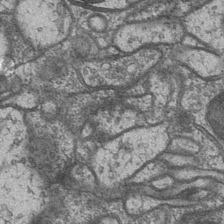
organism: Drosophila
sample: Optic medulla